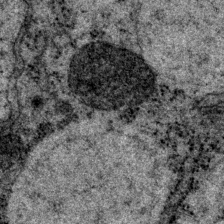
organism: P. pacificus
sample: Pharynx